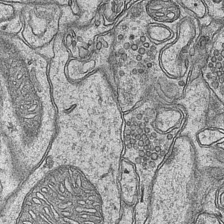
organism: Mouse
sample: CA1 Hippocampus